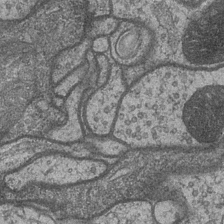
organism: Drosophila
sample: Optic medulla